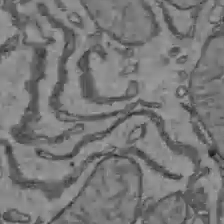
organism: C57BL Mouse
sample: Liver